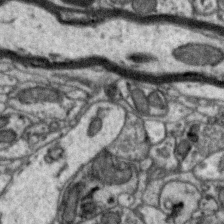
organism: Zebra finch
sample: Brain